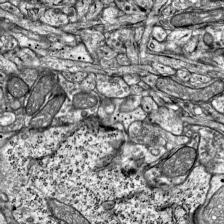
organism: Mouse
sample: Visual Cortex